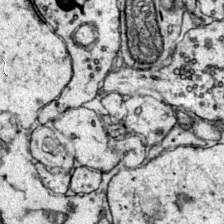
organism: Mouse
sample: Primary visual cortex